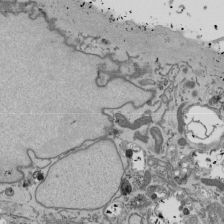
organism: Mouse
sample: ED-1 cell nuclei; centrioles